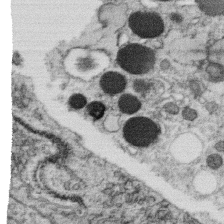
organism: C. elegans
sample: C. elegans oocyte; sperm cells